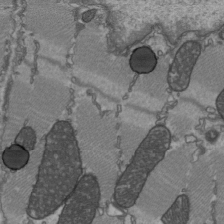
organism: C57BL Mouse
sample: Heart